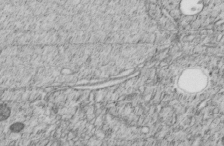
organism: C. elegans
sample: C. elegans embryo early stage